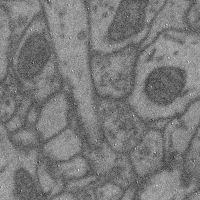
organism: Mouse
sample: Cerebral cortex